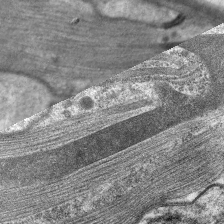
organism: C. elegans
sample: Pharynx